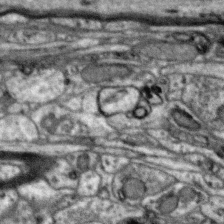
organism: Zebra finch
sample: Brain